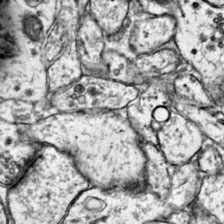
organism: Mouse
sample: Primary visual cortex